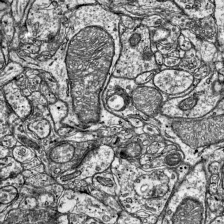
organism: Mouse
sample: Visual Cortex